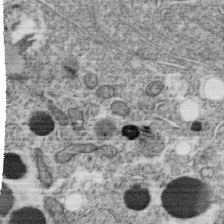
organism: C. elegans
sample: C. elegans oocyte; sperm cells